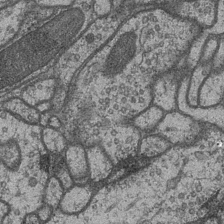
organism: Drosophila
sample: Optic medulla